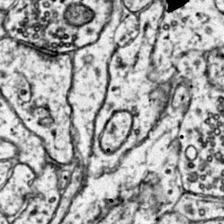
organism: Mouse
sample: Primary visual cortex